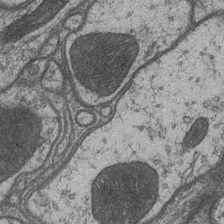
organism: Drosophila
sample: Optic medulla